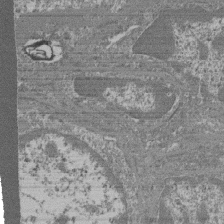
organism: Mouse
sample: Glomerulus